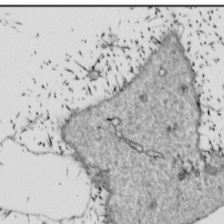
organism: Drosophila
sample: Cell division; meiosis; drosophila spermatocytes